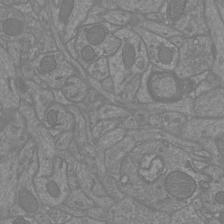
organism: Mouse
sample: Cortical neurons